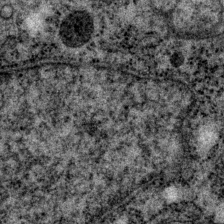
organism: P. pacificus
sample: Pharynx